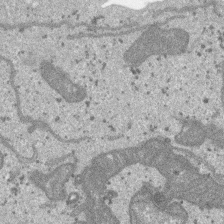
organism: Human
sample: Lung epithelial cells infected with SARS-CoV-2